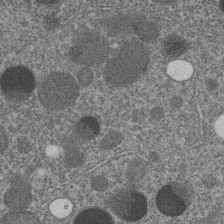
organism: C. elegans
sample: C. elegans embryo early stage